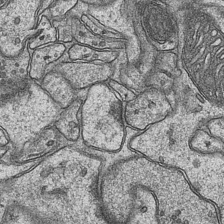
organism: Mouse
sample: CA1 Hippocampus